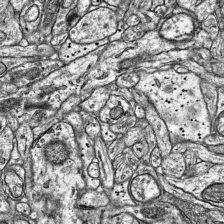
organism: Mouse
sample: Visual Cortex